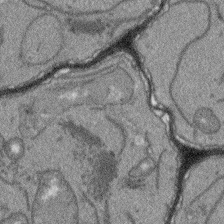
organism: Arabidopsis thaliana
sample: Root tip